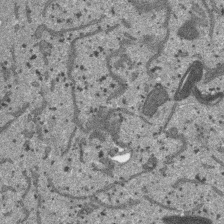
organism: Human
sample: Lung epithelial cells infected with SARS-CoV-2